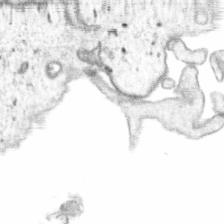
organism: Human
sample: HeLa cells